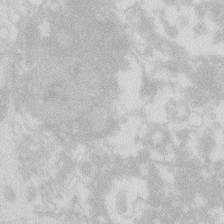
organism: Zebrafish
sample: Macrophage